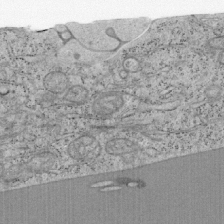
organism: Human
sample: HeLa cells